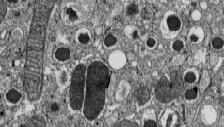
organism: C57BL Mouse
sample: Pancreatic islet